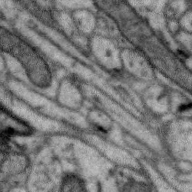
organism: Zebra finch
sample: Brain